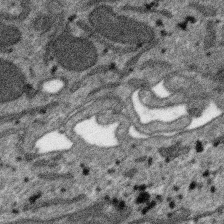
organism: Human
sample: Lung epithelial cells infected with SARS-CoV-2